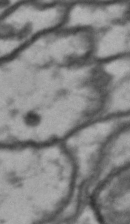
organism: Drosophila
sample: Brain